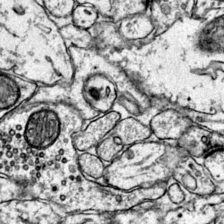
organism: Mouse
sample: Primary visual cortex